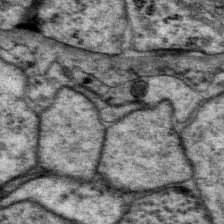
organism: P. pacificus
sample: Pharynx